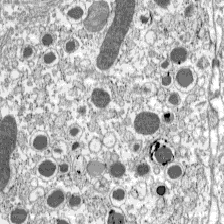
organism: C57BL Mouse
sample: Pancreatic islet